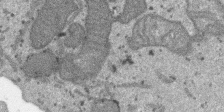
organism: Human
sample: Lung epithelial cells infected with SARS-CoV-2